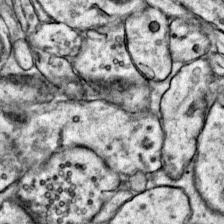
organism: Mouse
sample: Primary visual cortex